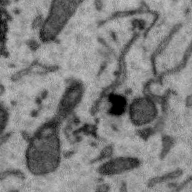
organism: Zebra finch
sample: Brain